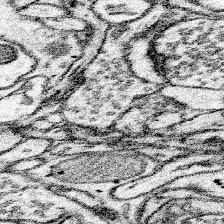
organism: Mouse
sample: Somatosensory cortex neuropil